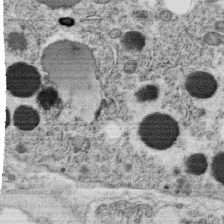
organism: C. elegans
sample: C. elegans oocyte; sperm cells